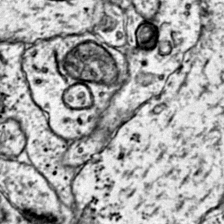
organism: Mouse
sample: Primary visual cortex